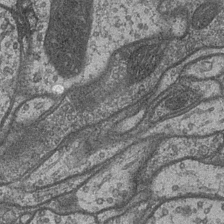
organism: Drosophila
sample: Optic medulla